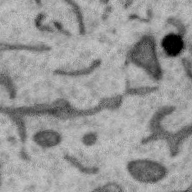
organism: Zebra finch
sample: Brain